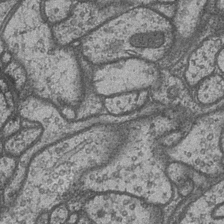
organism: Drosophila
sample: Optic medulla